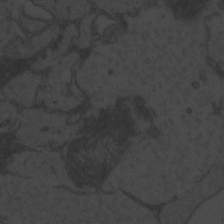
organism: Zebrafish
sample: Macrophage infected with Toxoplasma gondii